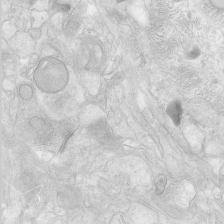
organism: Human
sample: Neocortex